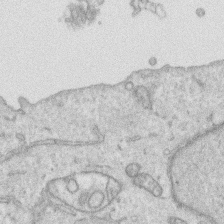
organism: Human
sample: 1205lu cells